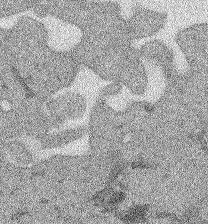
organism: Human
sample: HeLa cells